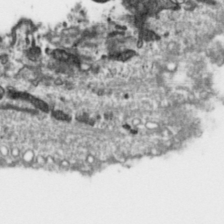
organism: Toxoplasma gondii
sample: Parasites in a vacuole inside a host cell